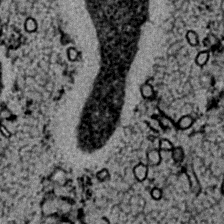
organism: C. elegans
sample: C. elegans embryo